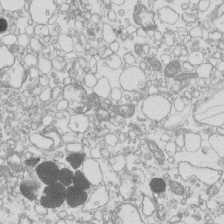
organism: Mouse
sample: Macrophages